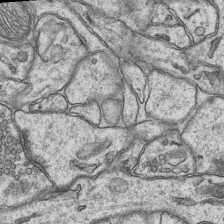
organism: Mouse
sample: CA1 Hippocampus